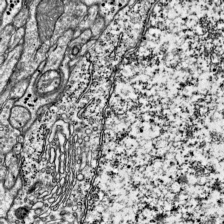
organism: Mouse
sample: Visual Cortex